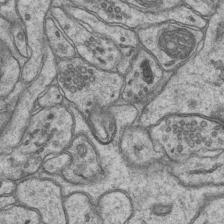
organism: Mouse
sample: CA1 Hippocampus